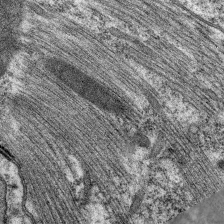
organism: C. elegans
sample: Pharynx